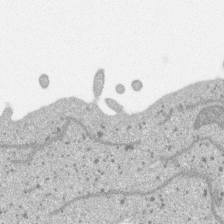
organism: Human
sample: Lung epithelial cells infected with SARS-CoV-2